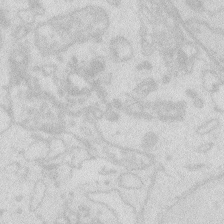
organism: Zebrafish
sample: Macrophage